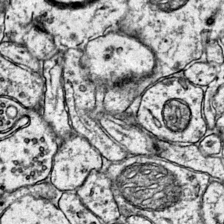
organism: Mouse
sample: Primary visual cortex